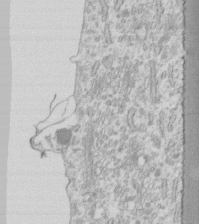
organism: Human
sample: Fibroblast cells